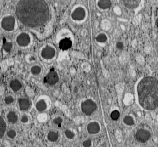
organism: C57BL Mouse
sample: Pancreatic islet